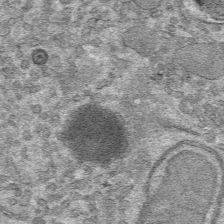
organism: Mouse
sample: Mouse hepatocytes